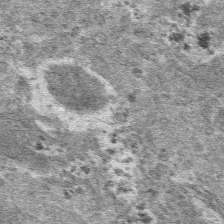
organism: Mouse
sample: Mouse hepatocytes